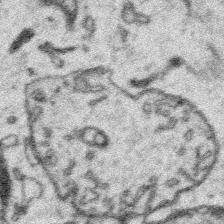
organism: Platynereis dumerilii